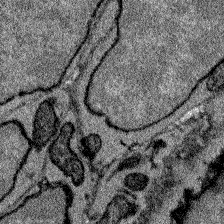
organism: Zebrafish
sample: Larval olfactory bulb